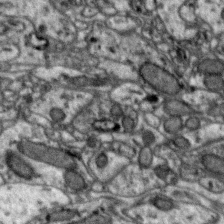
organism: Zebra finch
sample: Brain